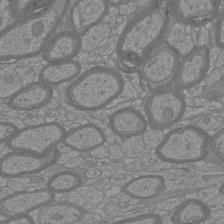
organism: Mouse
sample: Cortical neurons